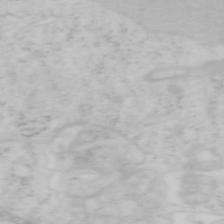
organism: Mouse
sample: OT-I killer T cells with ID8 ovarian cancer cells